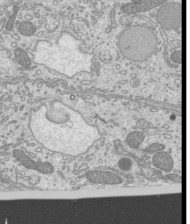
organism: Mouse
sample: Cilia; mouse epididymis